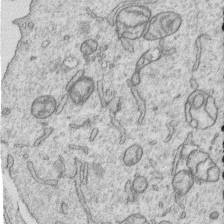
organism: Human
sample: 1205lu cells